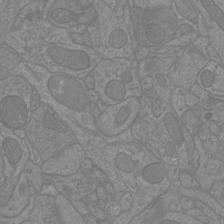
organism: Mouse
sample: Cortical neurons